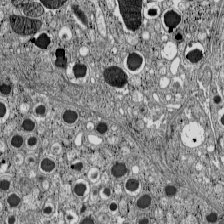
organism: C57BL Mouse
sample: Pancreatic islet